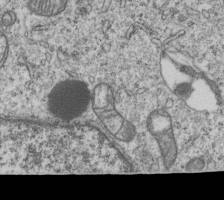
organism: Human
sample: MDA-MB-231 cells